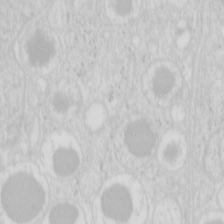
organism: Mouse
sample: Pancreas